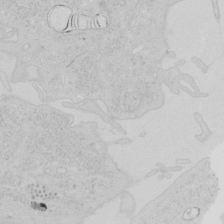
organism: Human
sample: Mitochondria in HCT116 cells